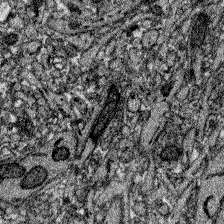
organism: Zebrafish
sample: Larval olfactory bulb